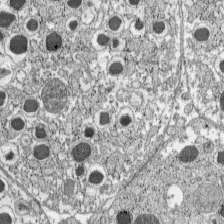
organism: C57BL Mouse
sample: Pancreatic islet